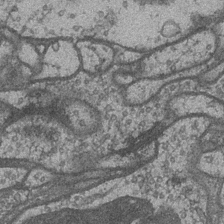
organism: Drosophila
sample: Optic medulla